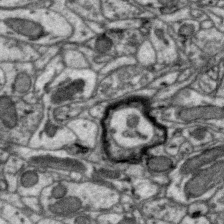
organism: Zebra finch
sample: Brain